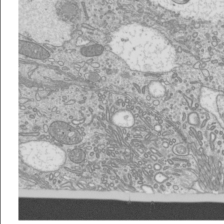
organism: Mouse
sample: Cilia; mouse epididymis